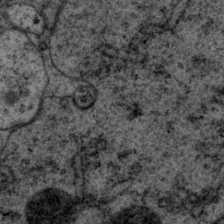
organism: P. pacificus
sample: Pharynx